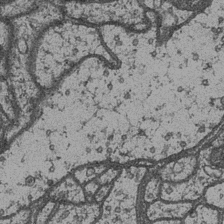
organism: Drosophila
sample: Optic medulla